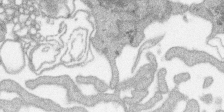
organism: Human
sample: Lung epithelial cells infected with SARS-CoV-2